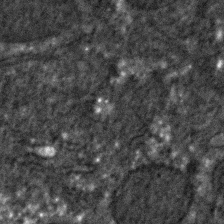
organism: C. elegans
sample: C. elegans embryo